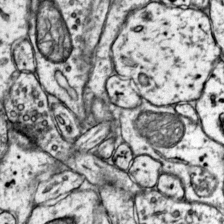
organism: Mouse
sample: Primary visual cortex